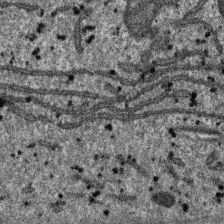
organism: Human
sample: Lung epithelial cells infected with SARS-CoV-2